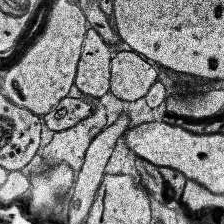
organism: Human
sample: Temporal Lobe